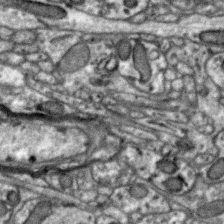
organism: Zebra finch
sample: Brain